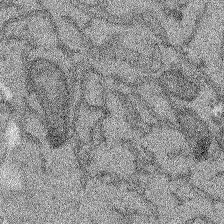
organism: Human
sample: HeLa cells